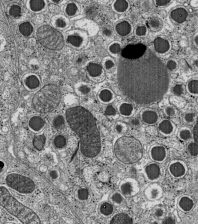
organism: C57BL Mouse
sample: Pancreatic islet